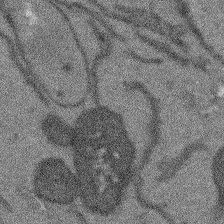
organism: Arabidopsis thaliana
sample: Root tip